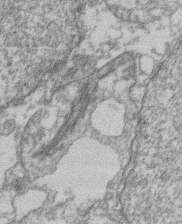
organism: Mouse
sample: T cell stromal cell synapse